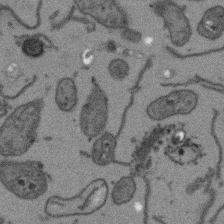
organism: Arabidopsis thaliana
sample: Root tip